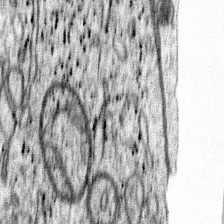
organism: Human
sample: HeLa cells